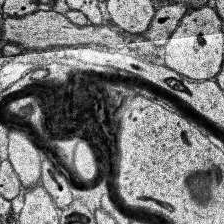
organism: Human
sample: Temporal Lobe